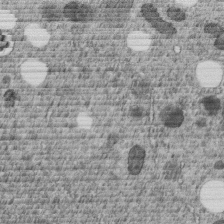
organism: C. elegans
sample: C. elegans embryo early stage